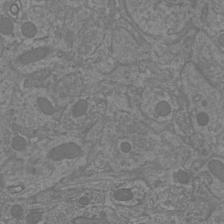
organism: Mouse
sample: Cortical neurons